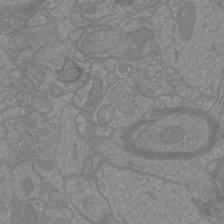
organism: Mouse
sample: Cortical neurons